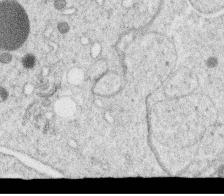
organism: C. elegans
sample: C. elegans oocyte; sperm cells